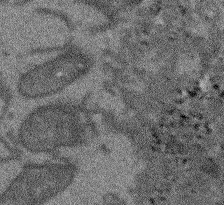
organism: Arabidopsis thaliana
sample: Root tip